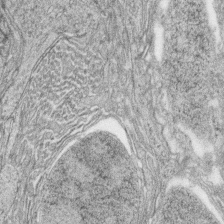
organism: Zebrafish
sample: synaptic ribbons in rod cells and cone cells